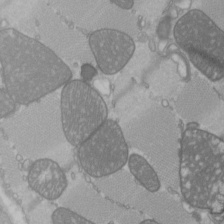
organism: C57BL Mouse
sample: Heart